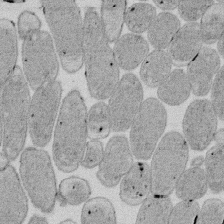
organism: E. coli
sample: Bacterial nucleoid